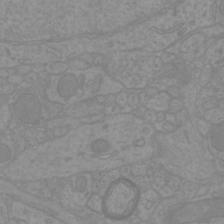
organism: Mouse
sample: Cortical neurons